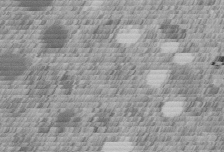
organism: C. elegans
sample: C. elegans embryo early stage